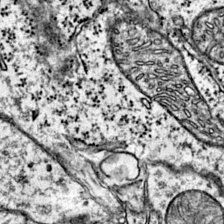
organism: Mouse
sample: Primary visual cortex